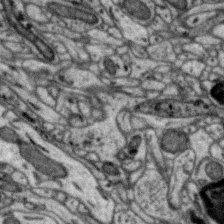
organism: Zebra finch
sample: Brain